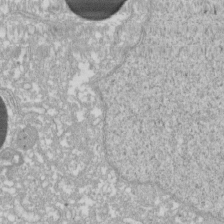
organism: Xenopus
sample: Cilia; centrioles in frog embryo cells